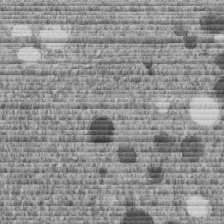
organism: C. elegans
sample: C. elegans embryo early stage